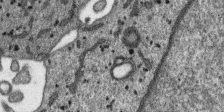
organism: Human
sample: Lung epithelial cells infected with SARS-CoV-2